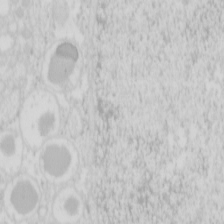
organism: Mouse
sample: Pancreas